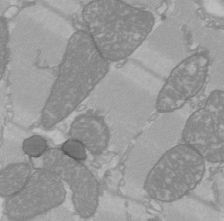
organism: C57BL Mouse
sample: Heart